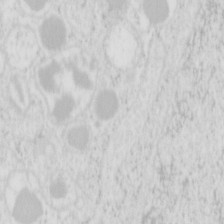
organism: Mouse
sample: Pancreas